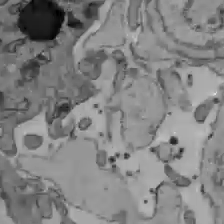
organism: C57BL Mouse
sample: Liver